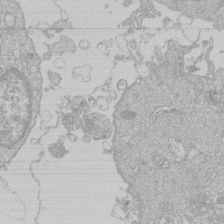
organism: Human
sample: Macrophage cells